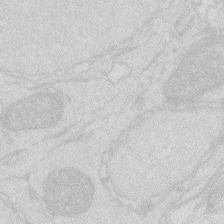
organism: Zebrafish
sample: Macrophage